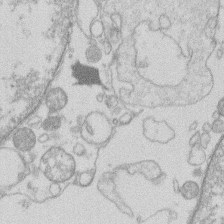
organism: Human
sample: Macrophage cells